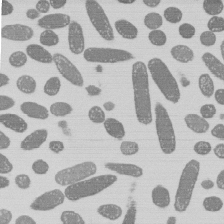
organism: E. coli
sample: Bacterial nucleoid